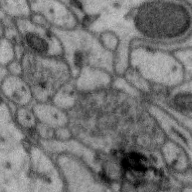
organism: Zebra finch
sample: Brain